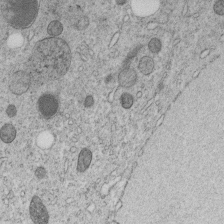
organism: C. elegans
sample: C. elegans embryo early stage